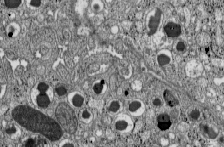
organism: C57BL Mouse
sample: Pancreatic islet